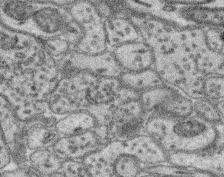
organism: Mouse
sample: Retina